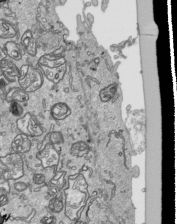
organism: Human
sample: Mitochondria in HCT116 cells